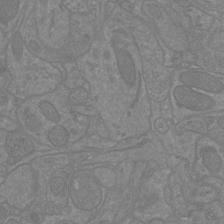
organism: Mouse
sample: Cortical neurons